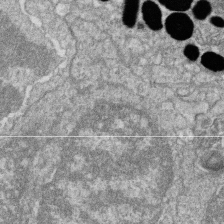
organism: Zebrafish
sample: Cilia; retinal pigment epithelium